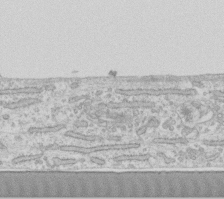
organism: Human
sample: Fibroblast cells